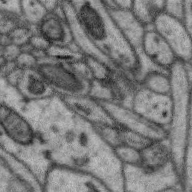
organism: Zebra finch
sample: Brain